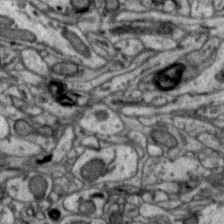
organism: Zebra finch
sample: Brain